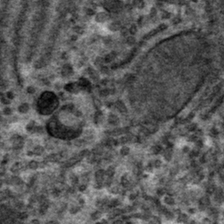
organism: Mouse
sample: Mouse hepatocytes